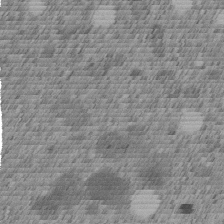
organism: C. elegans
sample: C. elegans embryo early stage